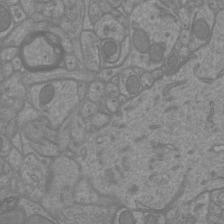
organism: Mouse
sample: Cortical neurons